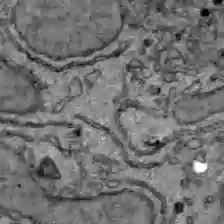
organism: C57BL Mouse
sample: Liver